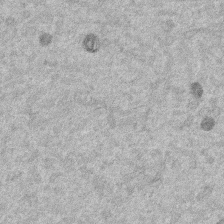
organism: Mouse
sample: Dividing mouse embryo 1 cell stage